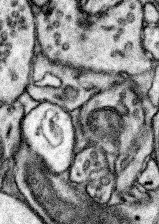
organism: Mouse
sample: Somatosensory cortex neuropil